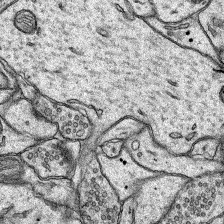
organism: Rat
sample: Hippocampus